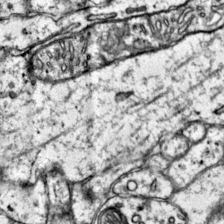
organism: Mouse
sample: Primary visual cortex